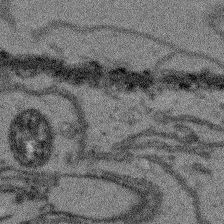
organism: Arabidopsis thaliana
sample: Root tip